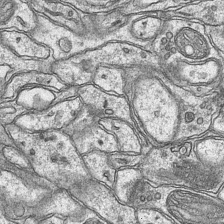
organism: Mouse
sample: CA1 Hippocampus